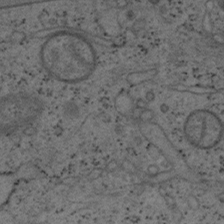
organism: Human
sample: HeLa cells